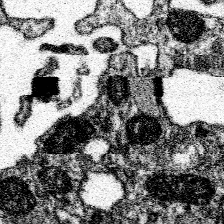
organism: Spongilla lacustris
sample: Neuroid cell